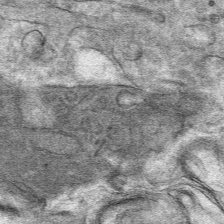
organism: Mouse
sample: Mouse hepatocytes